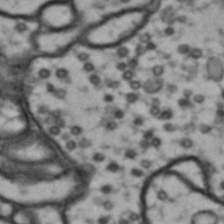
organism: Drosophila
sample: Brain